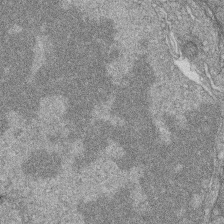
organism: Zebrafish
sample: Cilia; retinal pigment epithelium